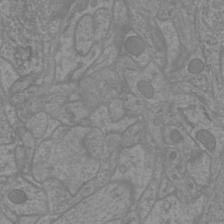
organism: Mouse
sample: Cortical neurons